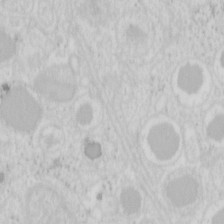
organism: Mouse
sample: Pancreas